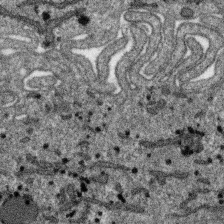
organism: Human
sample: Lung epithelial cells infected with SARS-CoV-2